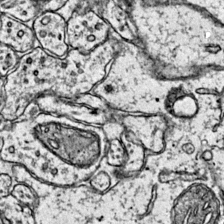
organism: Mouse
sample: Primary visual cortex